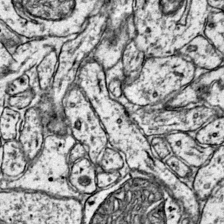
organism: Mouse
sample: Primary visual cortex